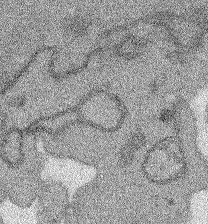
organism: Human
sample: HeLa cells